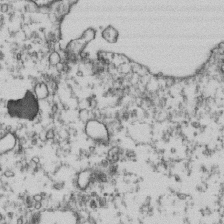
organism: Human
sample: Activated Jurkat CD4+ T cells